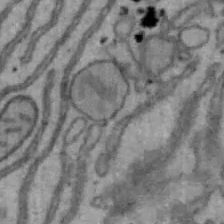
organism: Mouse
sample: Liver